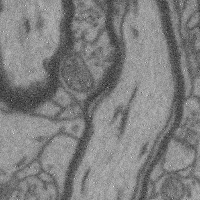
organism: Mouse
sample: Cerebral cortex